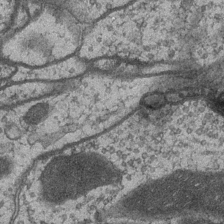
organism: Drosophila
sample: Optic medulla